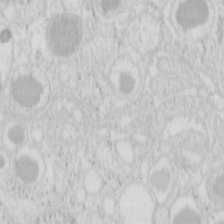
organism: Mouse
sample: Pancreas